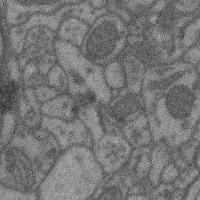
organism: Mouse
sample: Cerebral cortex